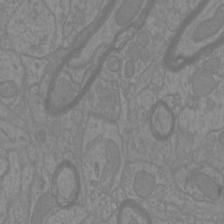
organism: Mouse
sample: Cortical neurons